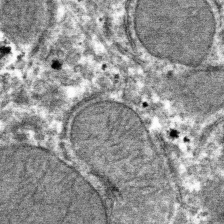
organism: Mouse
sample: Mouse hepatocytes